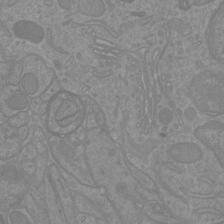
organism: Mouse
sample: Cortical neurons